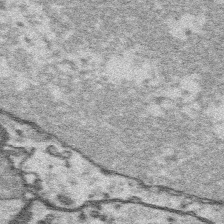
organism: Platynereis dumerilii